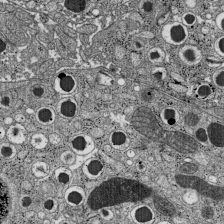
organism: C57BL Mouse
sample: Pancreatic islet